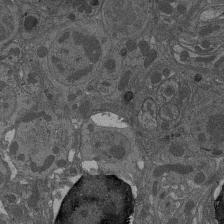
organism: Drosophila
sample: Antenna